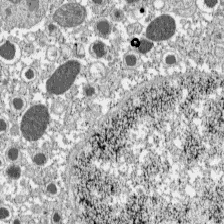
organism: C57BL Mouse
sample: Pancreatic islet